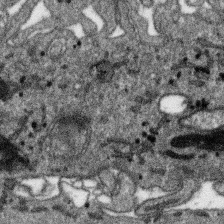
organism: Human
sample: Lung epithelial cells infected with SARS-CoV-2